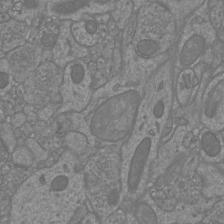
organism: Mouse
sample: Cortical neurons